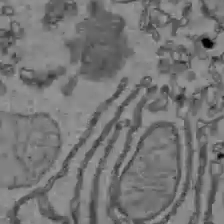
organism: C57BL Mouse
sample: Liver